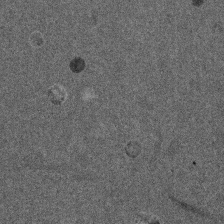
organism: Mouse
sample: Dividing mouse embryo 1 cell stage